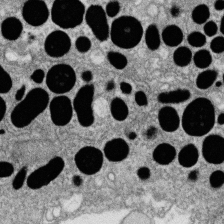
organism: Zebrafish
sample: Cilia; retinal pigment epithelium